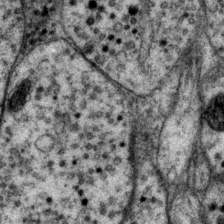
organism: P. pacificus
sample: Pharynx